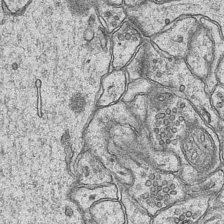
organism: Mouse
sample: CA1 Hippocampus